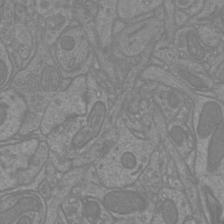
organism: Mouse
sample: Cortical neurons